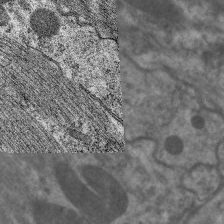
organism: C. elegans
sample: Pharynx